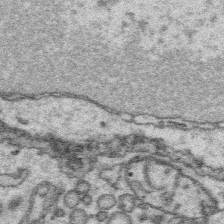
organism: Platynereis dumerilii